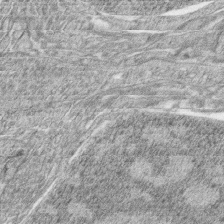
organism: Zebrafish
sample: synaptic ribbons in rod cells and cone cells